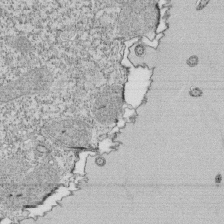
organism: Tetrahymena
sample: Cilia in tetrahymena